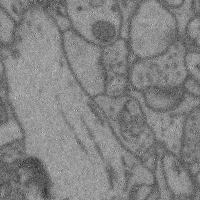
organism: Mouse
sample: Cerebral cortex